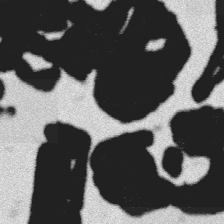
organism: Platynereis dumerilii